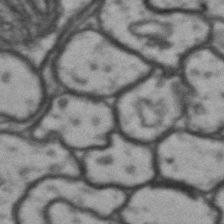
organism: Drosophila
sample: Brain